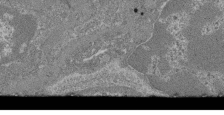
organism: Mouse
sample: Glomerulus